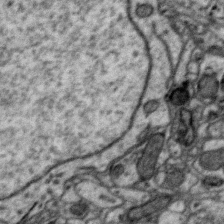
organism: Zebra finch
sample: Brain